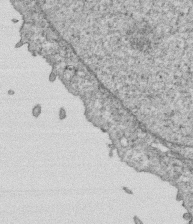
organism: Human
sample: HeLa cell HIV synapse